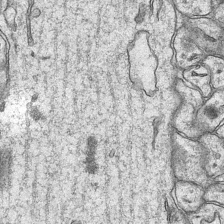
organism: Mouse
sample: CA1 Hippocampus